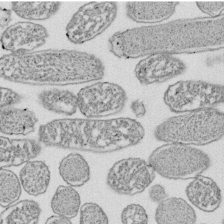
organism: E. coli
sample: Bacterial nucleoid